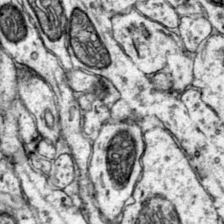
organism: Mouse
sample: Primary visual cortex